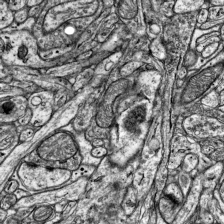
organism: Mouse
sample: Visual Cortex